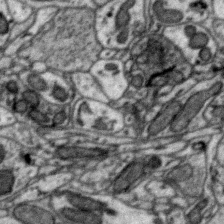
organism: Zebra finch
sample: Brain